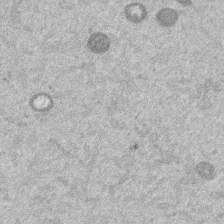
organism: Mouse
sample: Dividing mouse embryo 1 cell stage